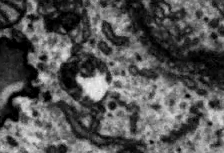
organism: Human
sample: HeLa cells